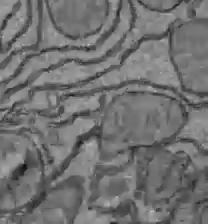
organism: C57BL Mouse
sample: Liver